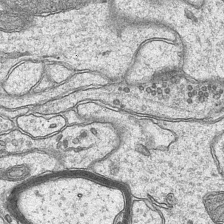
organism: Mouse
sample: CA1 Hippocampus